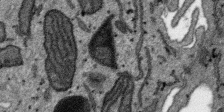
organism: Human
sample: Lung epithelial cells, uninfected (mock) control